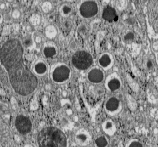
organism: C57BL Mouse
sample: Pancreatic islet